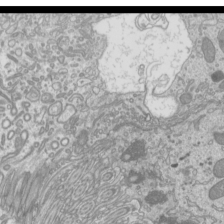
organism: Mouse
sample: Cilia; mouse epididymis